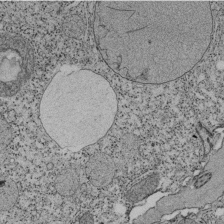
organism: Tetrahymena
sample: Cilia in tetrahymena